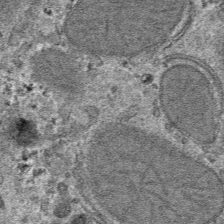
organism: Mouse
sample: Mouse hepatocytes